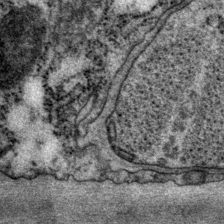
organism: P. pacificus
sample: Pharynx